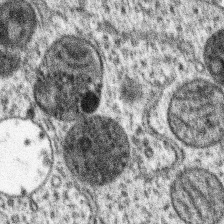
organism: Human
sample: HeLa cells